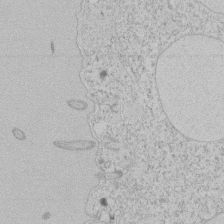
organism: Tetrahymena